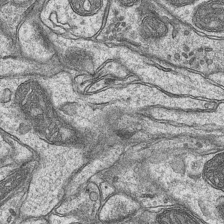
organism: Mouse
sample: CA1 Hippocampus